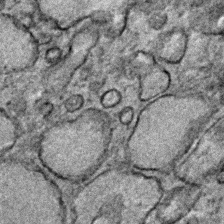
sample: Trachea